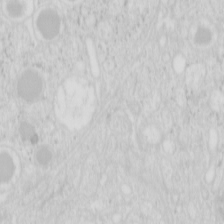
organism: Mouse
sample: Pancreas